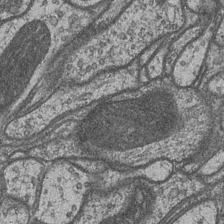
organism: Drosophila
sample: Optic medulla